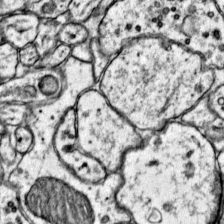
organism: Mouse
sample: Primary visual cortex